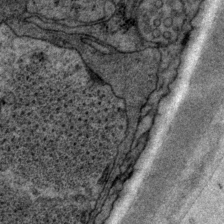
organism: P. pacificus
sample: Pharynx